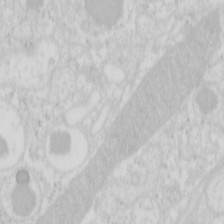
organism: Mouse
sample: Pancreas